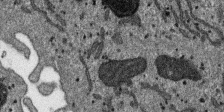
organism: Human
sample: Lung epithelial cells infected with SARS-CoV-2